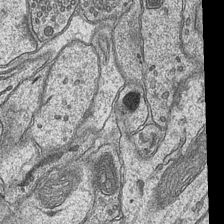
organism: Mouse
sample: CA1 Hippocampus